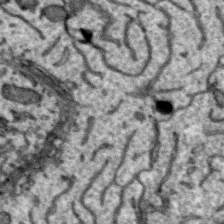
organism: Zebra finch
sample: Brain